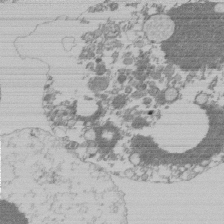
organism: Mouse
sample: Activated Pmel transgenic CD8+ T Cells